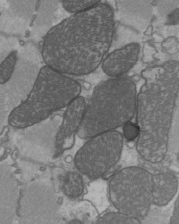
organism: C57BL Mouse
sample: Heart